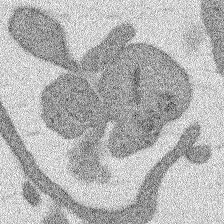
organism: Human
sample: HeLa cells